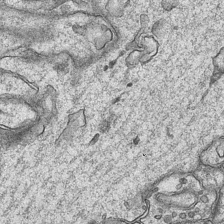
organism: Mouse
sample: CA1 Hippocampus